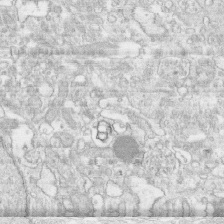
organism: Human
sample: CRL-1474